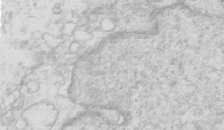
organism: Mouse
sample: Multiciliated cells